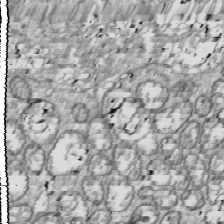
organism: Drosophila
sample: Cell division; meiosis; drosophila spermatocytes